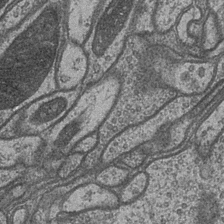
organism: Drosophila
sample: Optic medulla